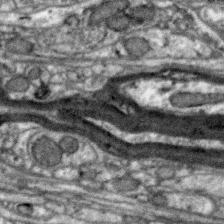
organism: Zebra finch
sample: Brain